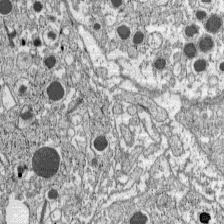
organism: C57BL Mouse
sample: Pancreatic islet